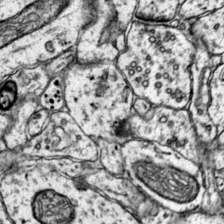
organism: Mouse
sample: Primary visual cortex